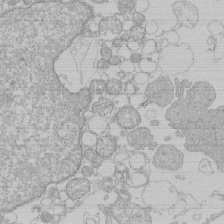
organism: Human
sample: Macrophage cells